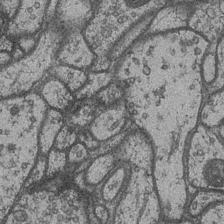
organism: Drosophila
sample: Optic medulla